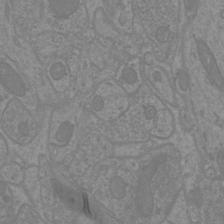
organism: Mouse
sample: Cortical neurons